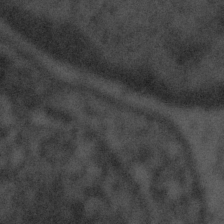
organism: Tuwongella immobilis